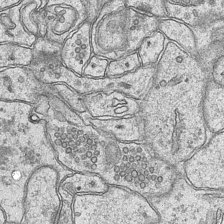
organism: Mouse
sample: CA1 Hippocampus